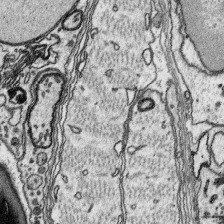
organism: Platynereis dumerilii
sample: Parapodia